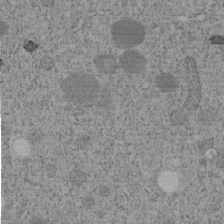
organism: C. elegans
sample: C. elegans embryo early stage